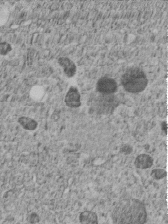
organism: C. elegans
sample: C. elegans embryo early stage